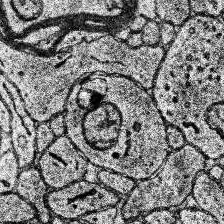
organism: Human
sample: Temporal Lobe